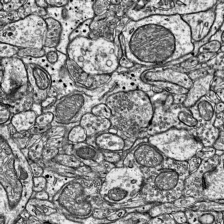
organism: Mouse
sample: Visual Cortex